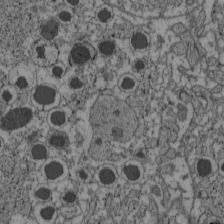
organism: C57BL Mouse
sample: Pancreatic islet